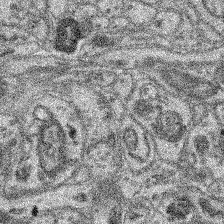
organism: Mouse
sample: Retina